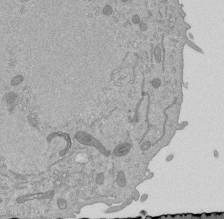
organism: Mouse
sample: ED-1 cell nuclei; centrioles